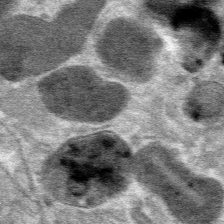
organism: Mouse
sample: Mouse hepatocytes